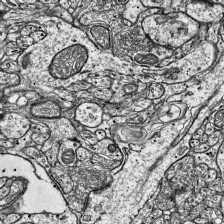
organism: Mouse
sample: Visual Cortex